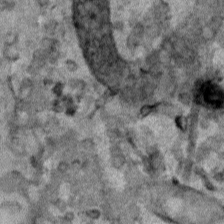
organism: Human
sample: Mitochondria in HCT116 cells